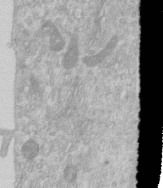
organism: Human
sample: Centriole in RPE cells